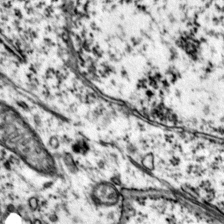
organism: Mouse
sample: Primary visual cortex